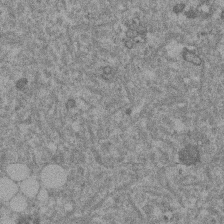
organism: Mouse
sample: Dividing mouse embryo 1 cell stage